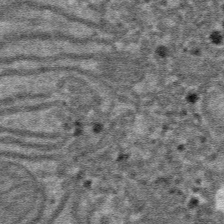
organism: Mouse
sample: Mouse hepatocytes